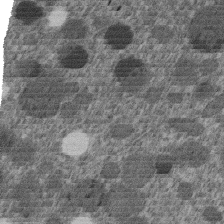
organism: C. elegans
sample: C. elegans embryo early stage